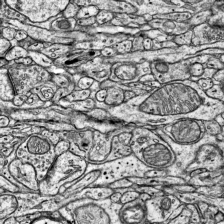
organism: Mouse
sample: Visual Cortex